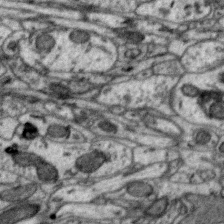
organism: Zebra finch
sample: Brain